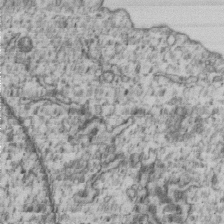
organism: Human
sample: MDA-MB-231 cells